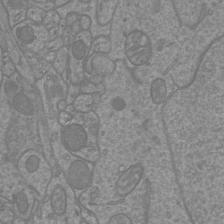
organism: Mouse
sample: Cortical neurons